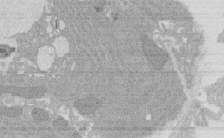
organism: Rat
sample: Salivary granule